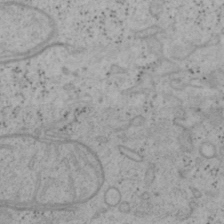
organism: Human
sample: HeLa cells